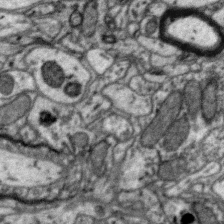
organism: Zebra finch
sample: Brain